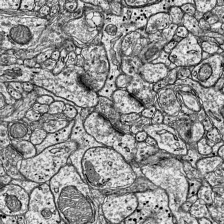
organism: Mouse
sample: Visual Cortex